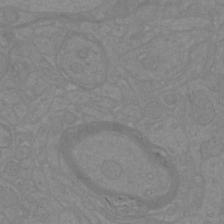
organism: Mouse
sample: Cortical neurons